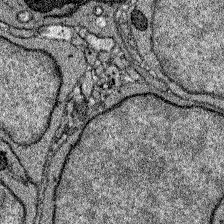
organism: Zebrafish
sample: Larval olfactory bulb